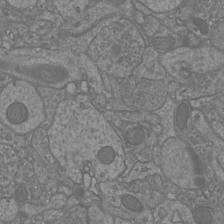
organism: Mouse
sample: Cortical neurons